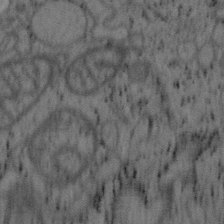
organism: Human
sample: HeLa cells